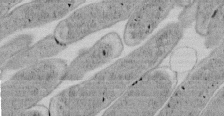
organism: E. coli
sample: Bacterial nucleoid